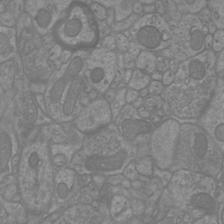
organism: Mouse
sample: Cortical neurons